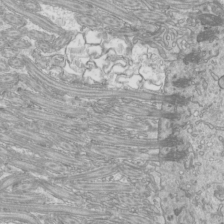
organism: Mouse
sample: Cilia; mouse epididymis